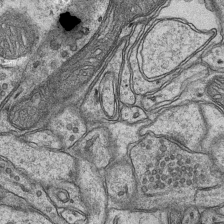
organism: Mouse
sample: CA1 Hippocampus